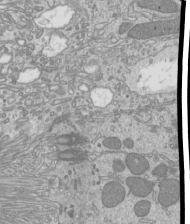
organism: Mouse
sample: Cilia; mouse epididymis